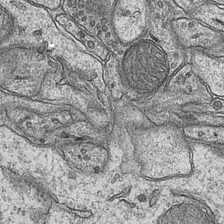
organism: Mouse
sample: CA1 Hippocampus